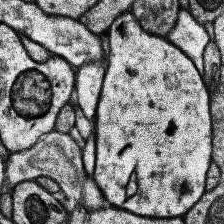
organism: Human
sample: Temporal Lobe